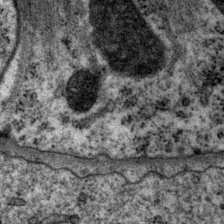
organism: P. pacificus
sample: Pharynx